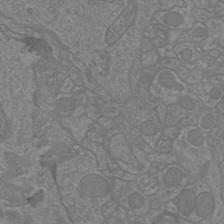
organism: Mouse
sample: Cortical neurons